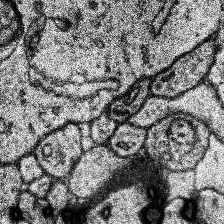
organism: Human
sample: Temporal Lobe